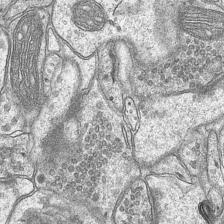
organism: Mouse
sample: CA1 Hippocampus